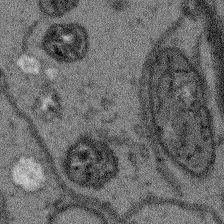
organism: Arabidopsis thaliana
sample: Root tip